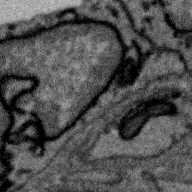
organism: Zebra finch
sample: Brain